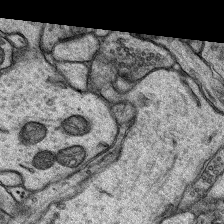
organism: Rat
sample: Hippocampus